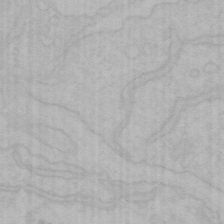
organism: Mouse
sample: Choroid plexus